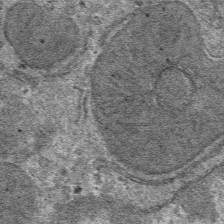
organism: Mouse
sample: Mouse hepatocytes